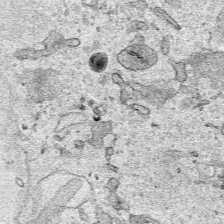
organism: Human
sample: Mitochondria in HCT116 cells